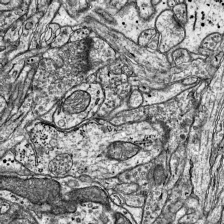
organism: Mouse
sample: Visual Cortex